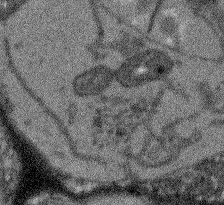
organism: Arabidopsis thaliana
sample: Root tip